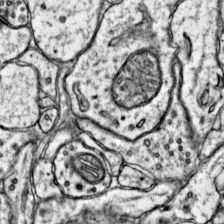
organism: Mouse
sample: Primary visual cortex